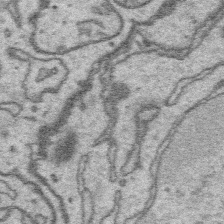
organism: Platynereis dumerilii